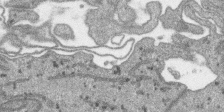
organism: Human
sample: Lung epithelial cells infected with SARS-CoV-2